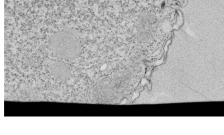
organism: Tetrahymena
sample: Cilia in tetrahymena